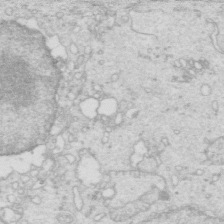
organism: Mouse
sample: Multiciliated cells